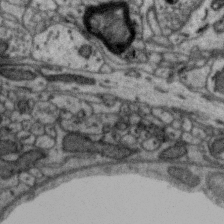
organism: Zebra finch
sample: Brain